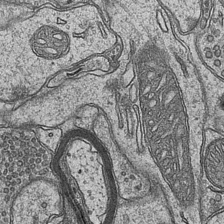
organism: Mouse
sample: CA1 Hippocampus